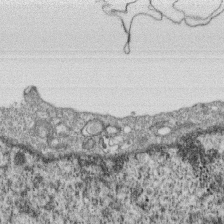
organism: African green monkey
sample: Vero E6 cells infected with SARS-CoV-2